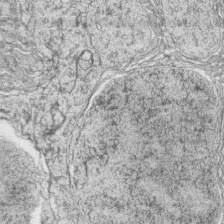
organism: Zebrafish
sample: synaptic ribbons in rod cells and cone cells